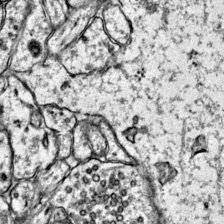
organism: Mouse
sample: Primary visual cortex